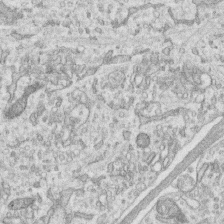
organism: Human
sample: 1205lu cells